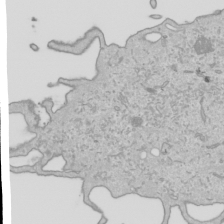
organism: Human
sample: Mitochondria in HCT116 cells